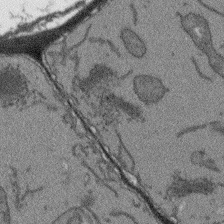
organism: Arabidopsis thaliana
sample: Root tip